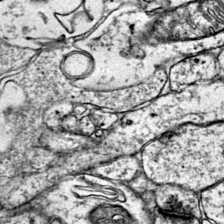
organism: Mouse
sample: Primary visual cortex